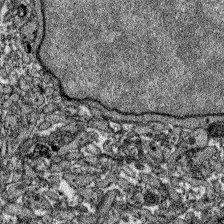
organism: Zebrafish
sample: Larval olfactory bulb